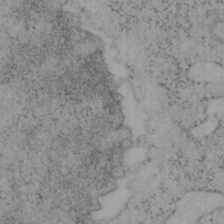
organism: Mouse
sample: OT-I killer T cells with ID8 ovarian cancer cells